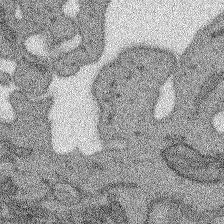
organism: Human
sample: HeLa cells